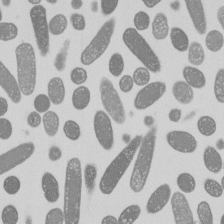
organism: E. coli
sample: Bacterial nucleoid